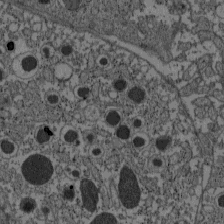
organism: C57BL Mouse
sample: Pancreatic islet